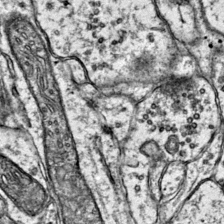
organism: Mouse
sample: Primary visual cortex